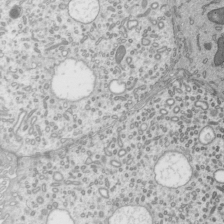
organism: Mouse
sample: Mouse epididymis efferent ductule cilia